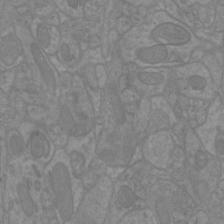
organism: Mouse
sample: Cortical neurons